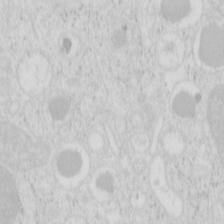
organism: Mouse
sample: Pancreas